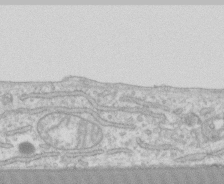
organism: Human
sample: CRL-1474